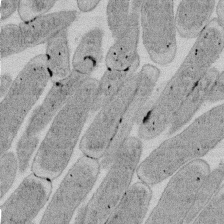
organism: E. coli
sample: Bacterial nucleoid